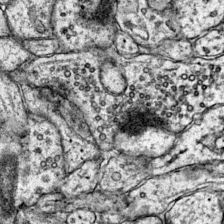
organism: Mouse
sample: Primary visual cortex